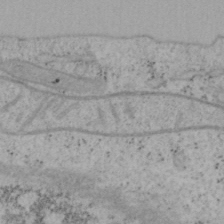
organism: Human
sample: HeLa cells